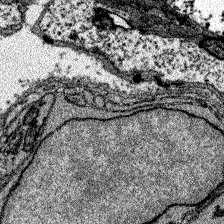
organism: Zebrafish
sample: Larval olfactory bulb